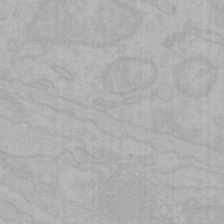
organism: Mouse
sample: Choroid plexus